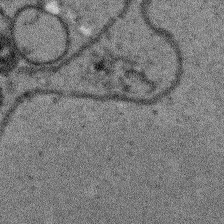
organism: Arabidopsis thaliana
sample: Root tip